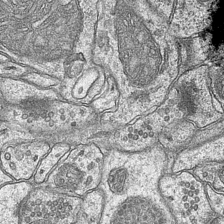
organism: Mouse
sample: CA1 Hippocampus